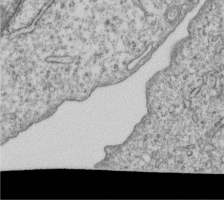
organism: Human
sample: MDA-MB-231 cells